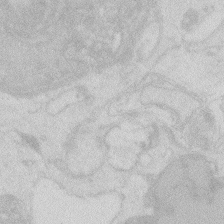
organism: Zebrafish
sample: Macrophage